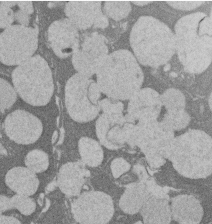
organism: Rat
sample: Salivary granule